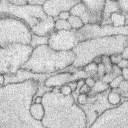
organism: Rabbit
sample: Retina